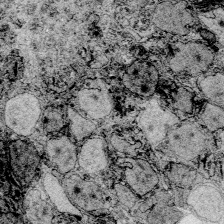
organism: Zebrafish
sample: Whole-Brain